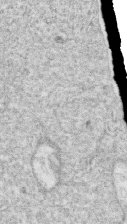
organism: Human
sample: HeLa cell HIV synapse